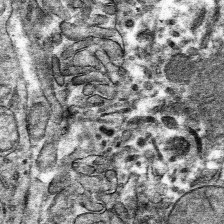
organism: Mouse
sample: Mouse hepatocytes